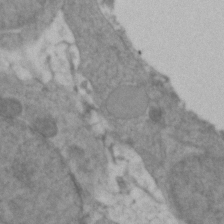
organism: Zebrafish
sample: Zebrafish embryo